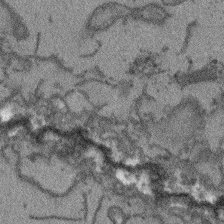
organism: Arabidopsis thaliana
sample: Root tip